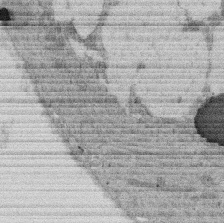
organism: Rat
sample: Salivary granule